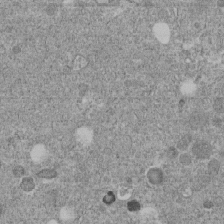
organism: C. elegans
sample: C. elegans embryo early stage